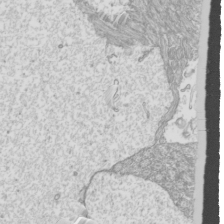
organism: Mouse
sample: Cilia; mouse epididymis